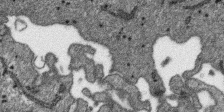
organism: Human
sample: Lung epithelial cells infected with SARS-CoV-2